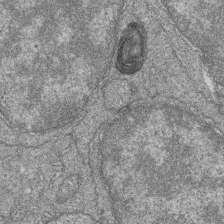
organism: Zebrafish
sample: Cilia; retinal pigment epithelium